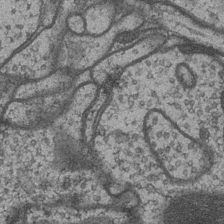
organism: Drosophila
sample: Optic medulla